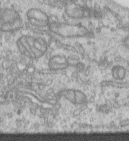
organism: Human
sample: Centriole in RPE cells